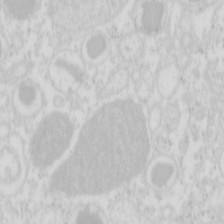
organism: Mouse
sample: Pancreas